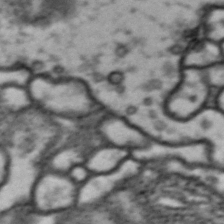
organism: Drosophila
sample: Brain